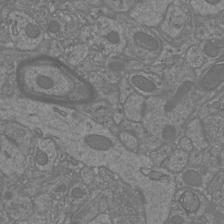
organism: Mouse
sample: Cortical neurons